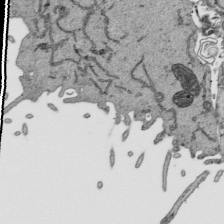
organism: Human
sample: Mitochondria in HCT116 cells